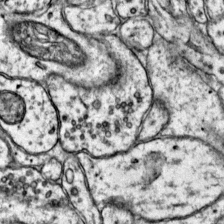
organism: Mouse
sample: Primary visual cortex